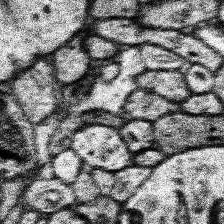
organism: Human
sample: Temporal Lobe